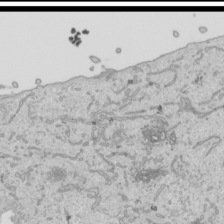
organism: Human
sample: Mitochondria in HCT116 cells